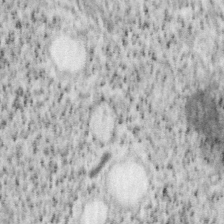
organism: Mouse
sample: OT-I killer T cells with ID8 ovarian cancer cells